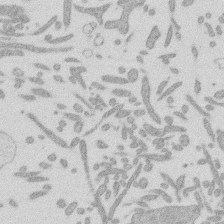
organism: Mouse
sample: Dividing mouse embryo 1 cell stage